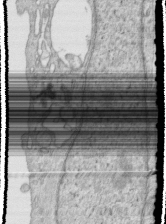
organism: Human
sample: Centriole in RPE cells